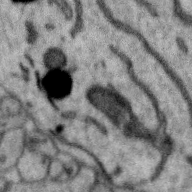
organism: Zebra finch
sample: Brain